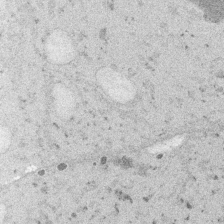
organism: Embia sp.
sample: Silk gland